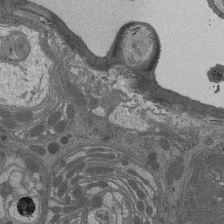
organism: Drosophila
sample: Antenna